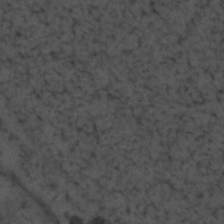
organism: Zebrafish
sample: Zebrafish embryo